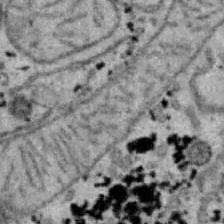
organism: Mouse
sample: Liver from an obese (ob/ob) mouse